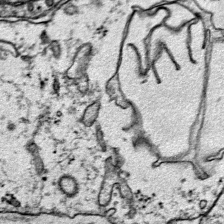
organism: Mouse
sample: Primary visual cortex